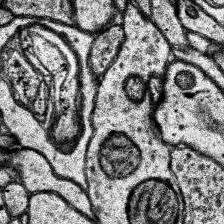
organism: Human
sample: Temporal Lobe